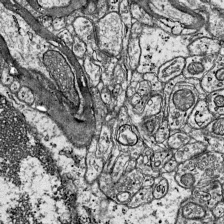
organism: Mouse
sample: Visual Cortex